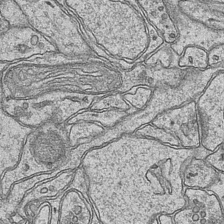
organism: Mouse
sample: CA1 Hippocampus